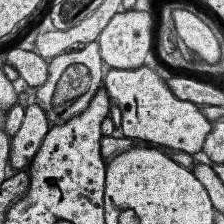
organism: Human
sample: Temporal Lobe